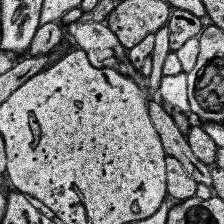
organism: Human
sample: Temporal Lobe